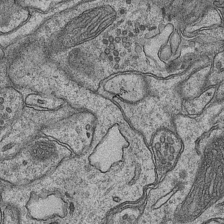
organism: Mouse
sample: CA1 Hippocampus